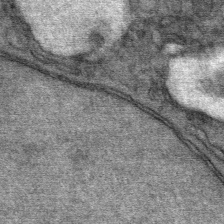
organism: Mouse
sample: Mouse Salivary gland